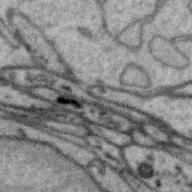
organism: Zebra finch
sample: Brain